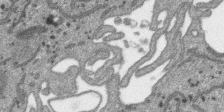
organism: Human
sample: Lung epithelial cells infected with SARS-CoV-2